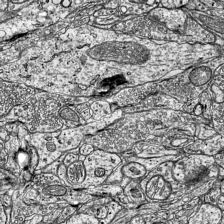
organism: Mouse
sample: Visual Cortex